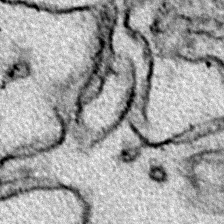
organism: Zebrafish